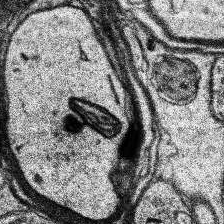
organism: Human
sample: Temporal Lobe